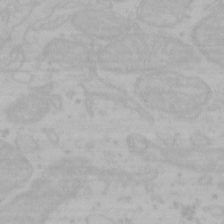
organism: Mouse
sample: Choroid plexus